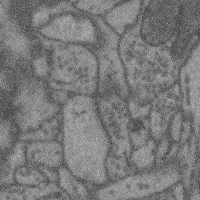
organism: Mouse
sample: Cerebral cortex